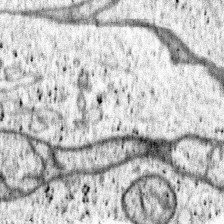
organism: Human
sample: HeLa cells